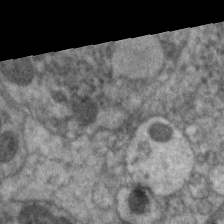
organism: C. elegans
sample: Pharynx